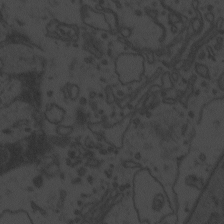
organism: Zebrafish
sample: Macrophage infected with Toxoplasma gondii